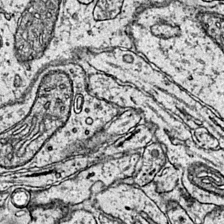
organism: Mouse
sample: Primary visual cortex